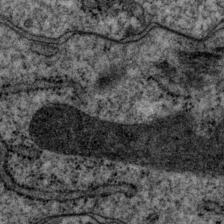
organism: P. pacificus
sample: Pharynx